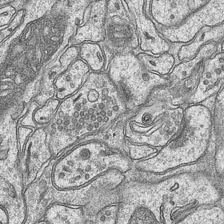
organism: Mouse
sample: CA1 Hippocampus